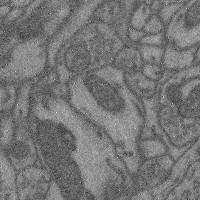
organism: Mouse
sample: Cerebral cortex